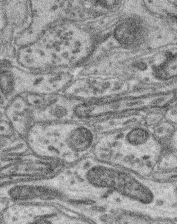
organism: Mouse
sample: Retina